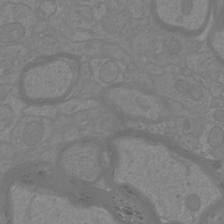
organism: Mouse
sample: Cortical neurons